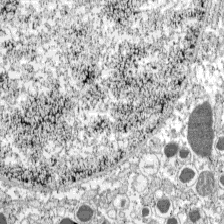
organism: C57BL Mouse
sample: Pancreatic islet